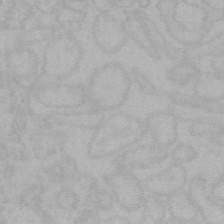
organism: Mouse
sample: Choroid plexus